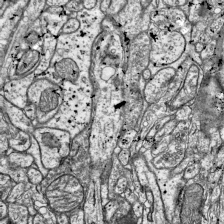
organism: Mouse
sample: Visual Cortex